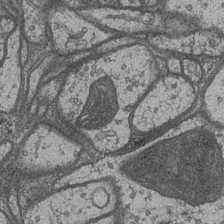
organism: Drosophila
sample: Optic medulla